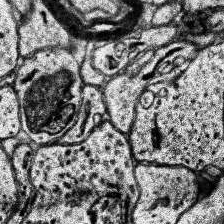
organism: Human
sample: Temporal Lobe